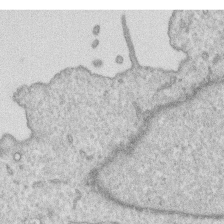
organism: Human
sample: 1205lu cells